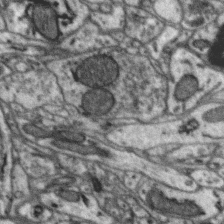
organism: Zebra finch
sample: Brain